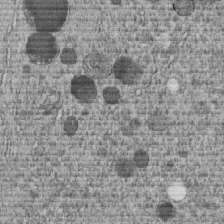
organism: C. elegans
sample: C. elegans embryo early stage